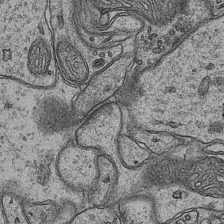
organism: Mouse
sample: CA1 Hippocampus